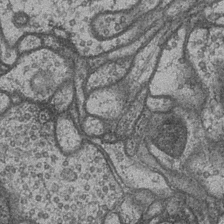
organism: Drosophila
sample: Optic medulla